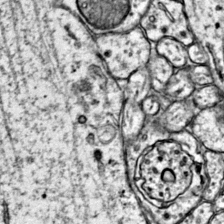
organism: Mouse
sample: Primary visual cortex